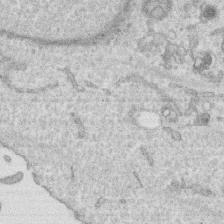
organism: Human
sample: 1205lu cells